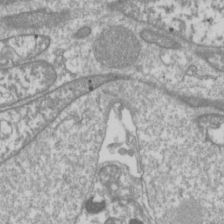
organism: Drosophila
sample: Cell division; meiosis; drosophila spermatocytes